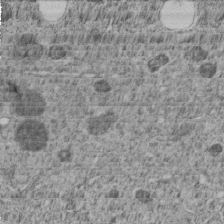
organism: C. elegans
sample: C. elegans embryo early stage